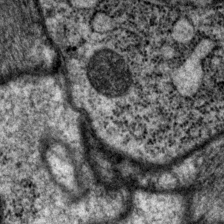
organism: P. pacificus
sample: Pharynx